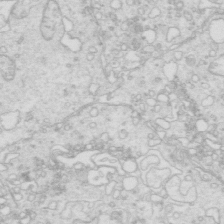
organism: Mouse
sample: Multiciliated cells